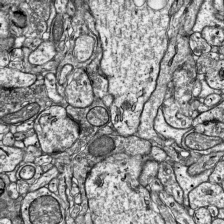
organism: Mouse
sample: Visual Cortex